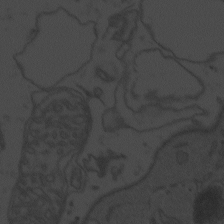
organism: Zebrafish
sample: Macrophage infected with Toxoplasma gondii